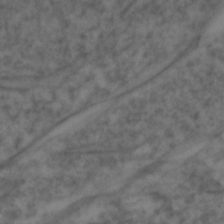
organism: Zebrafish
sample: Zebrafish embryo